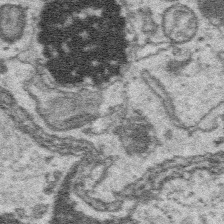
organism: Platynereis dumerilii